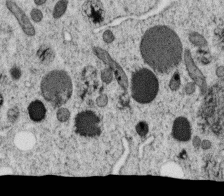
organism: C. elegans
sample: C. elegans oocyte; sperm cells